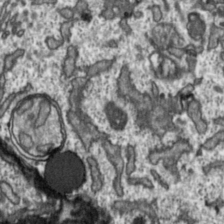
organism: Toxoplasma gondii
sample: Parasites in a vacuole inside a host cell